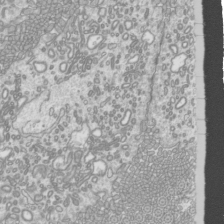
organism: Mouse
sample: Cilia; mouse epididymis